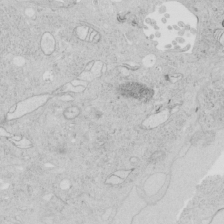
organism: Human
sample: Mitochondria in HCT116 cells